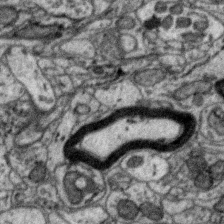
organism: Zebra finch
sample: Brain